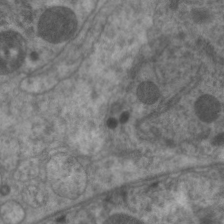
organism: C. elegans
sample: Pharynx